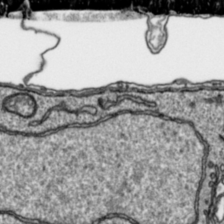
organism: Toxoplasma gondii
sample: Parasites in a vacuole inside a host cell